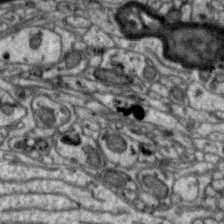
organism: Zebra finch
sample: Brain